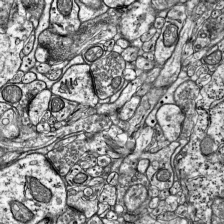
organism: Mouse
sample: Visual Cortex